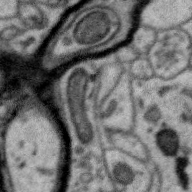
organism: Zebra finch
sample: Brain